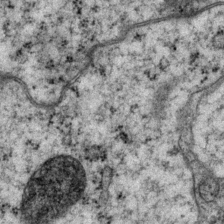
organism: P. pacificus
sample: Pharynx